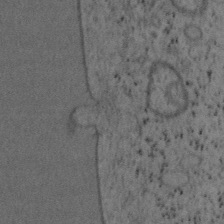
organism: Human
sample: HeLa cells